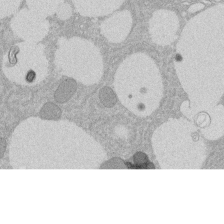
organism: Rat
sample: Salivary granule